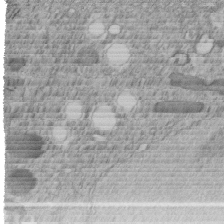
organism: C. elegans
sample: C. elegans embryo early stage